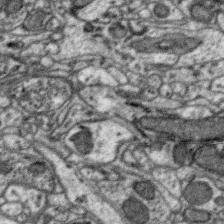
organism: Zebra finch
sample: Brain